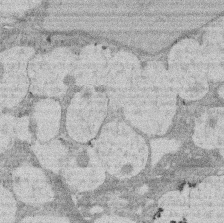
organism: Rat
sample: Salivary granule